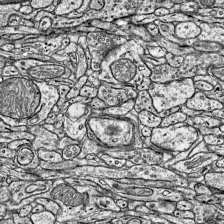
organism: Mouse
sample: Visual Cortex